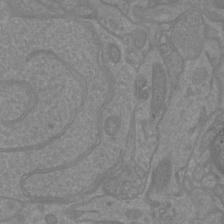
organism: Mouse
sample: Cortical neurons